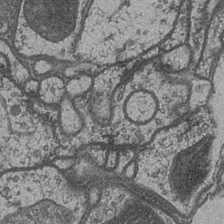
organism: Drosophila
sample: Optic medulla